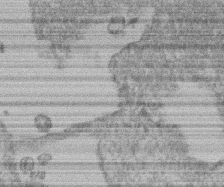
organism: Mouse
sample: T cell stromal cell synapse